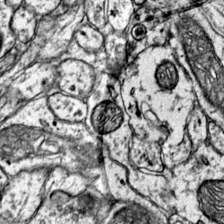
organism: Mouse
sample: Primary visual cortex